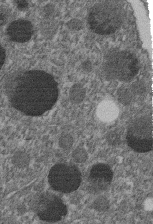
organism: C. elegans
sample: C. elegans embryo early stage